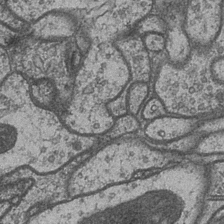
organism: Drosophila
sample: Optic medulla